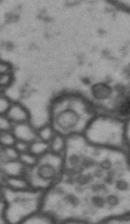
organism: Drosophila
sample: Brain